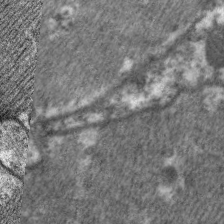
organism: C. elegans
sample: Pharynx